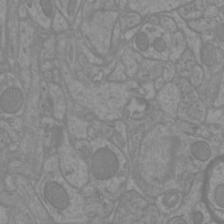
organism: Mouse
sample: Cortical neurons